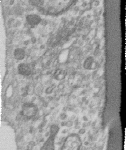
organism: Human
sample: Centriole in RPE cells